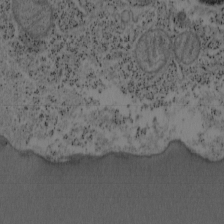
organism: Mouse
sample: OT-I killer T cells with ID8 ovarian cancer cells